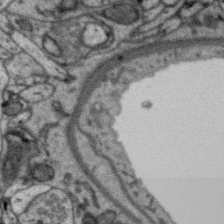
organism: Zebra finch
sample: Brain